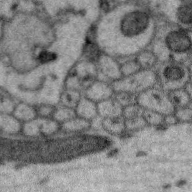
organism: Zebra finch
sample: Brain